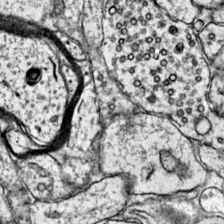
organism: Mouse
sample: Primary visual cortex